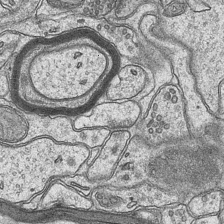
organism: Mouse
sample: CA1 Hippocampus